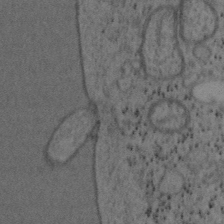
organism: Human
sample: HeLa cells